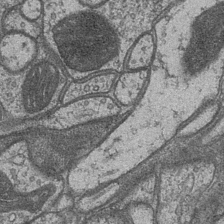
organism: Drosophila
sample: Optic medulla